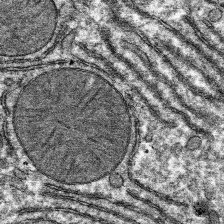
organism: Mouse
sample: Mouse hepatocytes